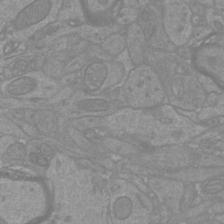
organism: Mouse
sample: Cortical neurons